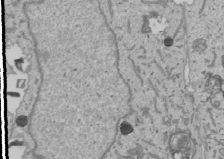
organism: Human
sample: Mitochondria in U2OS cells